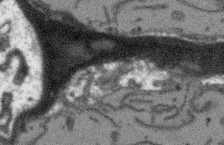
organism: Arabidopsis thaliana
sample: Root tip